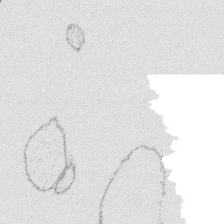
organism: Platynereis dumerilii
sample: Parapodia